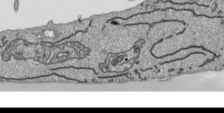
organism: Human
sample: Mitochondria in HCT116 cells